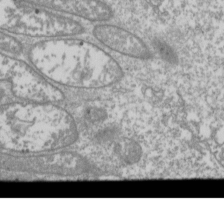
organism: Drosophila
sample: Cell division; meiosis; drosophila spermatocytes